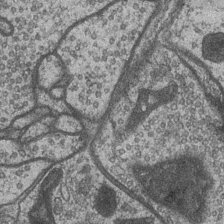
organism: Drosophila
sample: Optic medulla